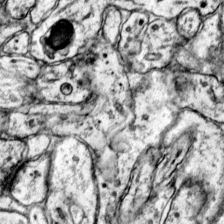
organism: Mouse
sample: Primary visual cortex